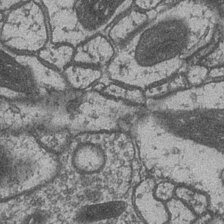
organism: Drosophila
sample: Optic medulla